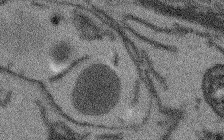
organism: Arabidopsis thaliana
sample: Root tip